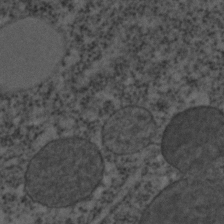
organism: C. elegans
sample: C. elegans embryo